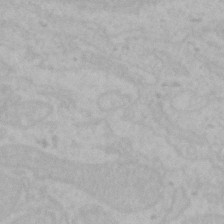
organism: Mouse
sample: Choroid plexus